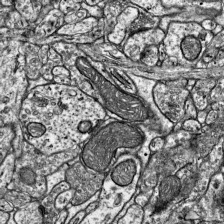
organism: Mouse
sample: Visual Cortex